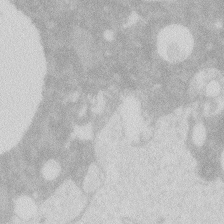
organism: Zebrafish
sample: Macrophage